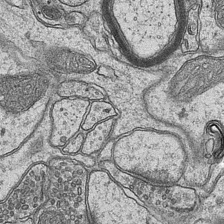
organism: Mouse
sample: CA1 Hippocampus